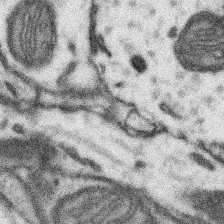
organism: Mouse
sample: Somatosensory cortex neuropil